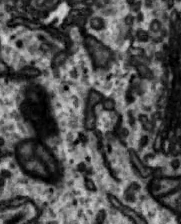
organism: Human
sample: HeLa cells